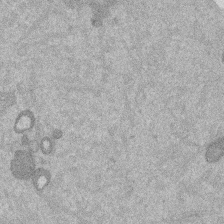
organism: Mouse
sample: Dividing mouse embryo 1 cell stage